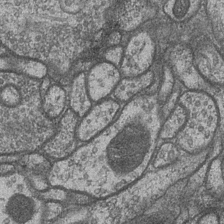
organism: Drosophila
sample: Optic medulla